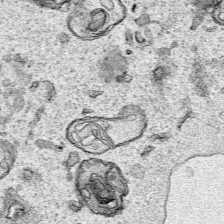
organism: Human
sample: Mitochondria in HCT116 cells